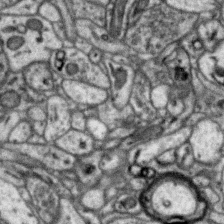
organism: Zebra finch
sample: Brain